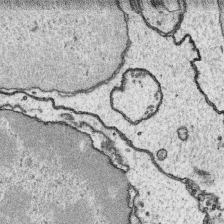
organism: Platynereis dumerilii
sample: Parapodia